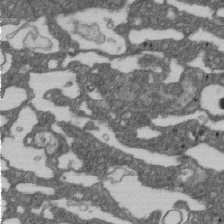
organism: Drosophila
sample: Nephrocyte